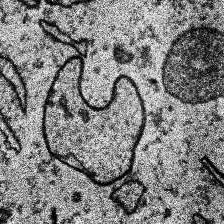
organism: Human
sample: Temporal Lobe